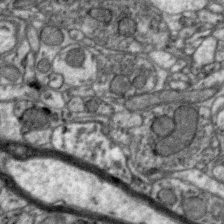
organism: Zebra finch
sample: Brain